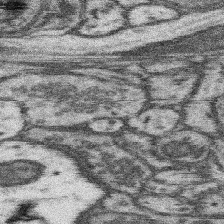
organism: Mouse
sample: Somatosensory cortex neuropil